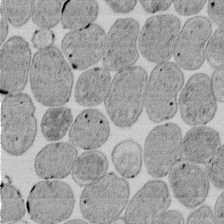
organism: E. coli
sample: Bacterial nucleoid